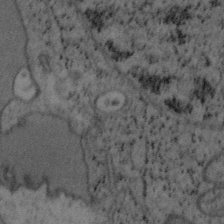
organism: Human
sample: HeLa cells